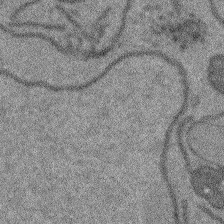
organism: Arabidopsis thaliana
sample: Root tip